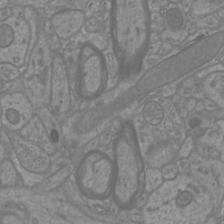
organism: Mouse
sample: Cortical neurons